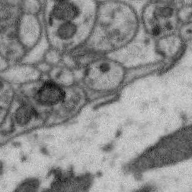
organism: Zebra finch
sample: Brain